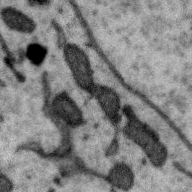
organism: Zebra finch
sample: Brain